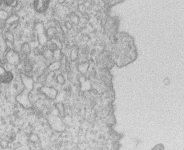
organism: Human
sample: Macrophage cells